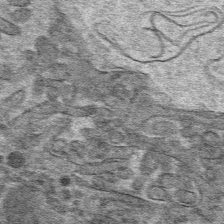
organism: Mouse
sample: Mouse hepatocytes